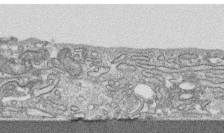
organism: Human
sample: CRL-1474